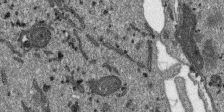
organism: Human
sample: Lung epithelial cells infected with SARS-CoV-2